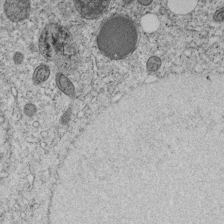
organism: C. elegans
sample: C. elegans embryo early stage